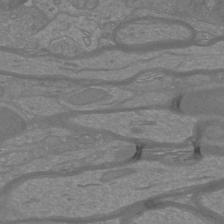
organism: Mouse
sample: Cortical neurons